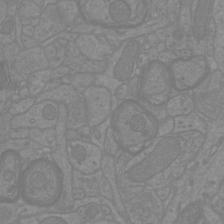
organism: Mouse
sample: Cortical neurons